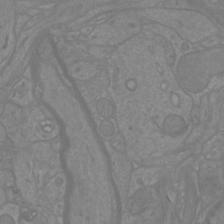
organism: Mouse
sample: Cortical neurons